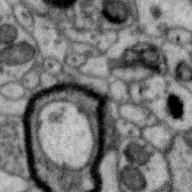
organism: Zebra finch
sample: Brain